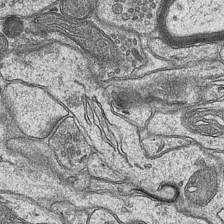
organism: Mouse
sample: CA1 Hippocampus